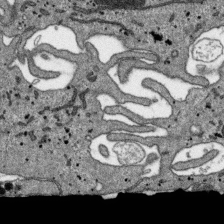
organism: Human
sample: Lung epithelial cells, uninfected (mock) control